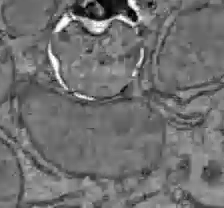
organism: C57BL Mouse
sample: Liver